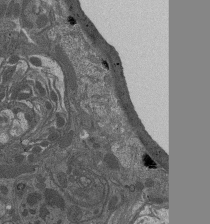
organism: Drosophila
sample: Antenna